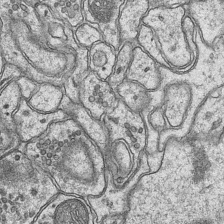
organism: Mouse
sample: CA1 Hippocampus